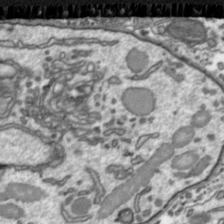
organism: Toxoplasma gondii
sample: Parasites in a vacuole inside a host cell